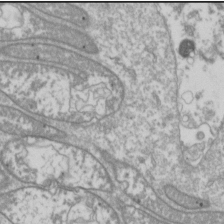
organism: Drosophila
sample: Cell division; meiosis; drosophila spermatocytes